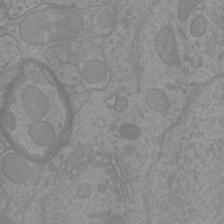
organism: Mouse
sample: Cortical neurons